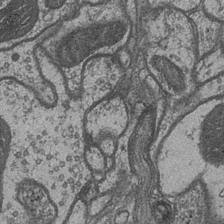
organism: Drosophila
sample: Optic medulla